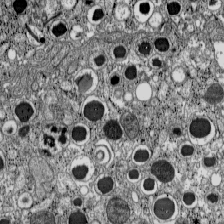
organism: C57BL Mouse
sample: Pancreatic islet